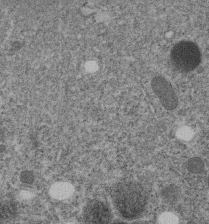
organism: C. elegans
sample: C. elegans embryo early stage